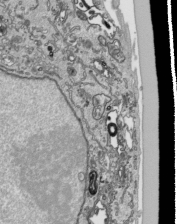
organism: Human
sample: Mitochondria in HCT116 cells